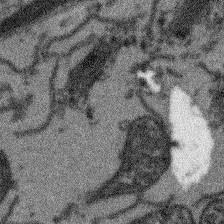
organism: Arabidopsis thaliana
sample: Root tip